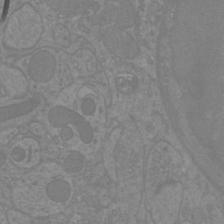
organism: Mouse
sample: Cortical neurons